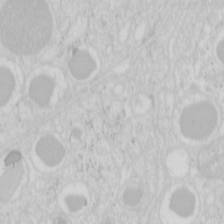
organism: Mouse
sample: Pancreas